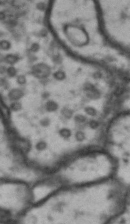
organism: Drosophila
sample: Brain